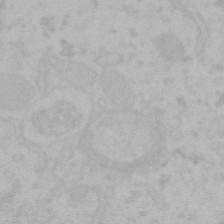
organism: Mouse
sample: Choroid plexus